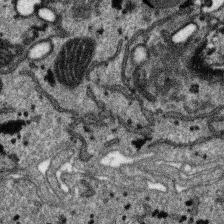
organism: Human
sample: Lung epithelial cells infected with SARS-CoV-2